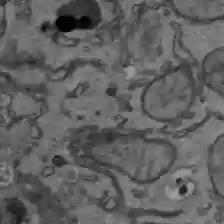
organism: C57BL Mouse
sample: Liver